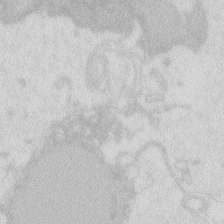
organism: Zebrafish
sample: Macrophage